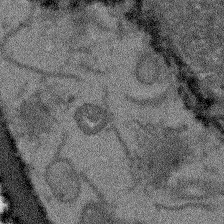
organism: Arabidopsis thaliana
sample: Root tip